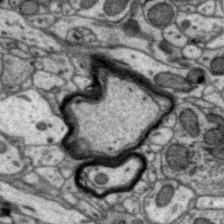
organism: Zebra finch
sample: Brain